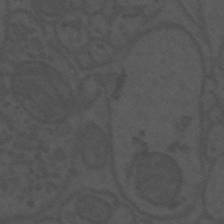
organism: Mouse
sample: Suprachiasmatic nucleus